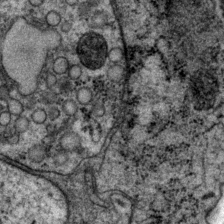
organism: P. pacificus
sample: Pharynx